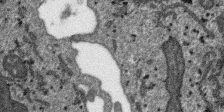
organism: Human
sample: Lung epithelial cells infected with SARS-CoV-2